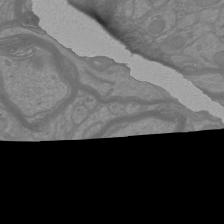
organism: Mouse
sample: Cortical neurons